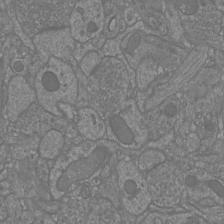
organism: Mouse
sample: Cortical neurons